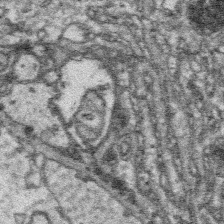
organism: Platynereis dumerilii